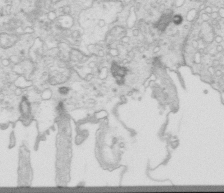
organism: Mouse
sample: Multiciliated cells